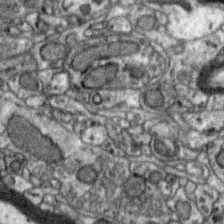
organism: Zebra finch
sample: Brain